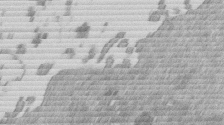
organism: Mouse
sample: Dividing mouse embryo 1 cell stage